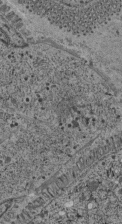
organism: C. elegans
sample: C. elegans pharynx